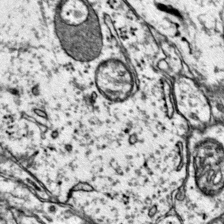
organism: Mouse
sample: Primary visual cortex